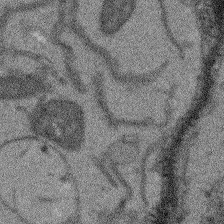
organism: Arabidopsis thaliana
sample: Root tip